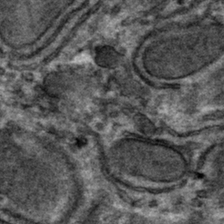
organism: Mouse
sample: Mouse hepatocytes